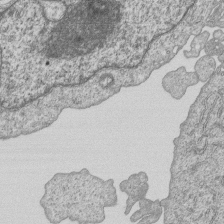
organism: Human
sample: MDA-MB-231 cells